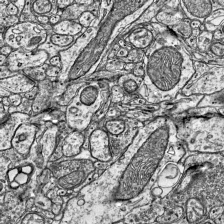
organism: Mouse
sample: Visual Cortex